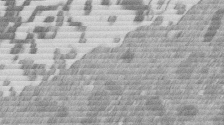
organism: Mouse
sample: Dividing mouse embryo 1 cell stage